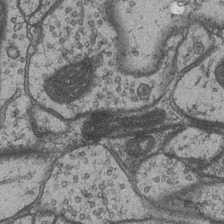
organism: Drosophila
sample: Optic medulla